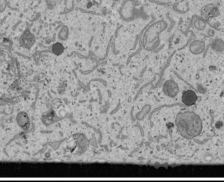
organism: Human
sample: Mitochondria in U2OS cells